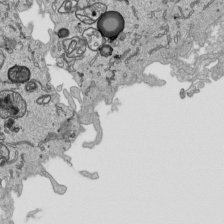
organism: Human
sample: Mitochondria in HCT116 cells